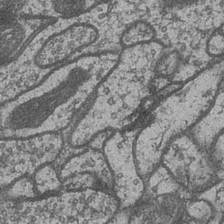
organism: Drosophila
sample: Optic medulla